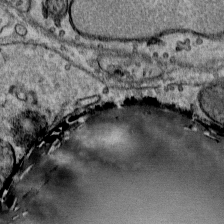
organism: Mouse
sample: Mouse Salivary gland